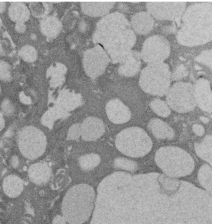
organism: Rat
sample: Salivary granule